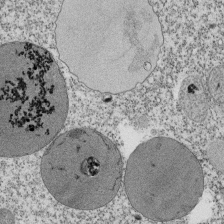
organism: Tetrahymena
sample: Cilia in tetrahymena